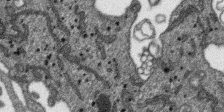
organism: Human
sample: Lung epithelial cells infected with SARS-CoV-2